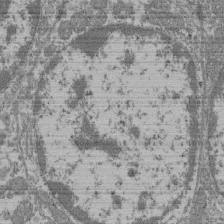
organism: Mouse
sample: Glomerulus